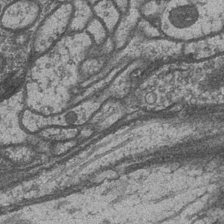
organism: Drosophila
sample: Optic medulla